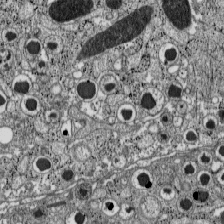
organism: C57BL Mouse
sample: Pancreatic islet